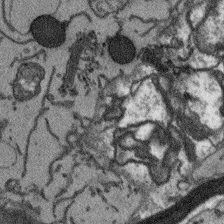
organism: Arabidopsis thaliana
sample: Root tip